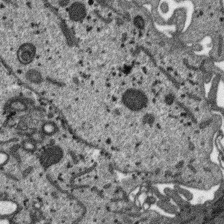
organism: Human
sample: Lung epithelial cells infected with SARS-CoV-2